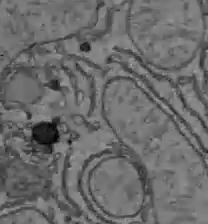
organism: C57BL Mouse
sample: Liver